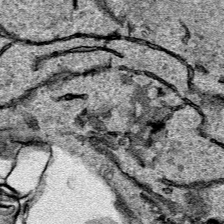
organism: Human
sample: Mitochondria in HCT116 cells